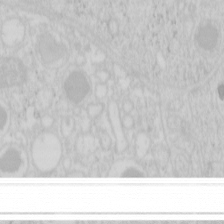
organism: Mouse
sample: Pancreas